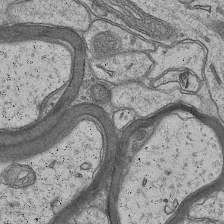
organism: Mouse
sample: CA1 Hippocampus